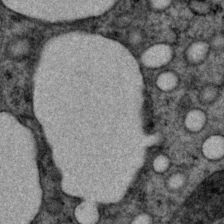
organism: P. pacificus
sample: Pharynx